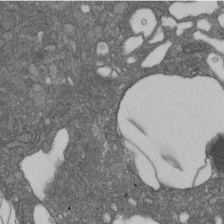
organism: Drosophila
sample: Nephrocyte